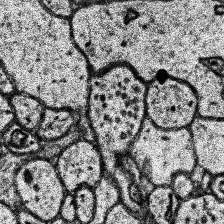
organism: Human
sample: Temporal Lobe